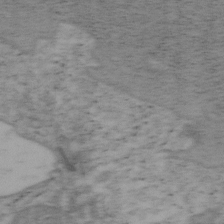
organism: Mouse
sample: OT-I killer T cells with ID8 ovarian cancer cells